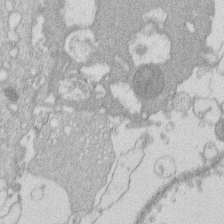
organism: Human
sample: Macrophage cells